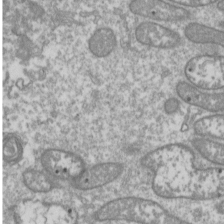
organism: Drosophila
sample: Cell division; meiosis; drosophila spermatocytes